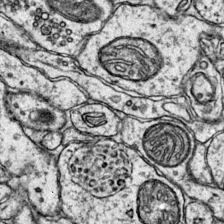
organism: Mouse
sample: Primary visual cortex